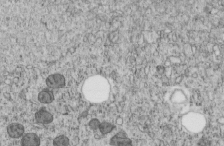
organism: C. elegans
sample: C. elegans embryo early stage